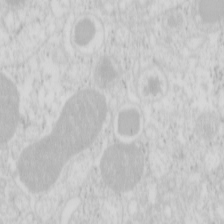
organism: Mouse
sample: Pancreas